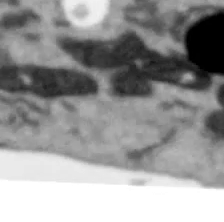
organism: Human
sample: SH-SY5Y cells